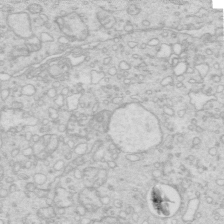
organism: Mouse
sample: Multiciliated cells